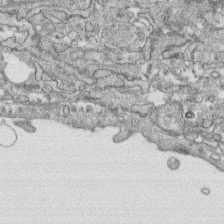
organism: Human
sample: CRL-1474